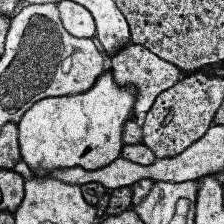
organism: Human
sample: Temporal Lobe